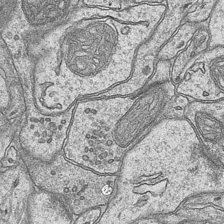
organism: Mouse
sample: CA1 Hippocampus